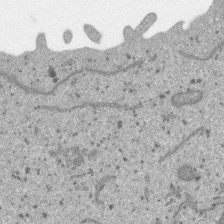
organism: Human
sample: Lung epithelial cells infected with SARS-CoV-2